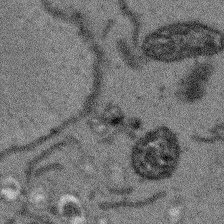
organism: Arabidopsis thaliana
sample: Root tip